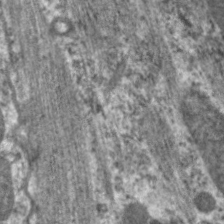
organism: C. elegans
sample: Pharynx